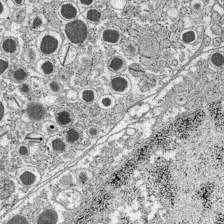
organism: C57BL Mouse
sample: Pancreatic islet